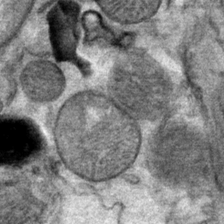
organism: Mouse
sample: Mouse Salivary gland